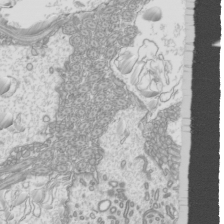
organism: Mouse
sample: Cilia; mouse epididymis